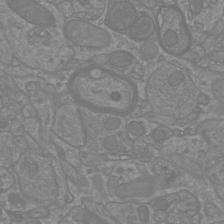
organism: Mouse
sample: Cortical neurons